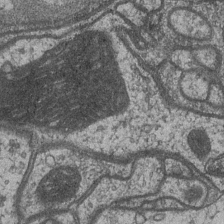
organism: Drosophila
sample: Optic medulla